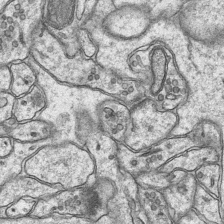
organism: Mouse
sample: CA1 Hippocampus